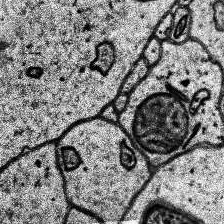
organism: Human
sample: Temporal Lobe